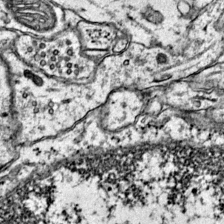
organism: Mouse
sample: Primary visual cortex